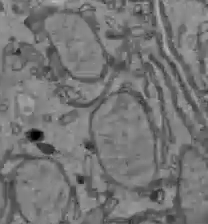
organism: C57BL Mouse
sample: Liver